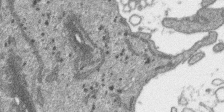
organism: Human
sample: Lung epithelial cells infected with SARS-CoV-2